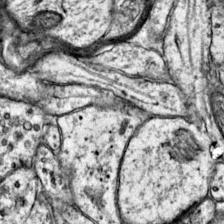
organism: Mouse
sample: Primary visual cortex